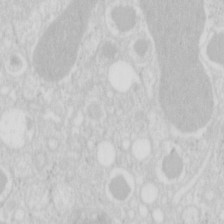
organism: Mouse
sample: Pancreas